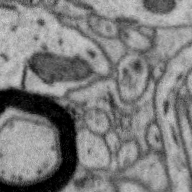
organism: Zebra finch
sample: Brain